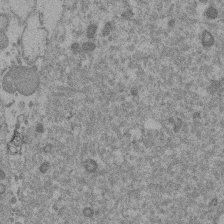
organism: Mouse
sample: Dividing mouse embryo 1 cell stage